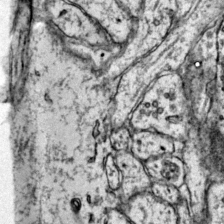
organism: Mouse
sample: Primary visual cortex